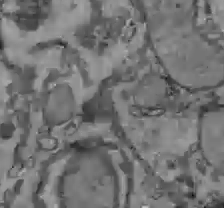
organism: C57BL Mouse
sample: Liver